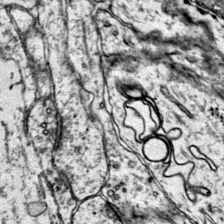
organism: Mouse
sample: Primary visual cortex